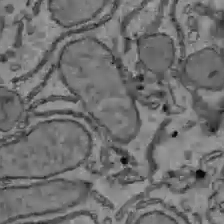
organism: C57BL Mouse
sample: Liver